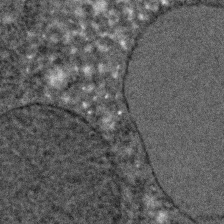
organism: C. elegans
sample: C. elegans embryo